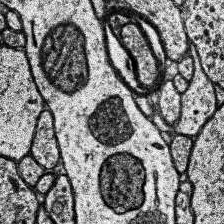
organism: Human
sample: Temporal Lobe